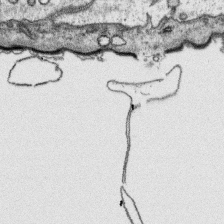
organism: Platynereis dumerilii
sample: Parapodia